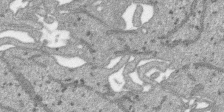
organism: Human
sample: Lung epithelial cells infected with SARS-CoV-2